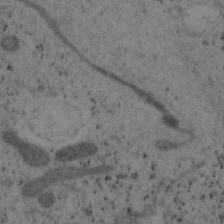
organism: Human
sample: HeLa cells